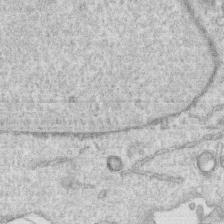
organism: Human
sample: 1205lu cells